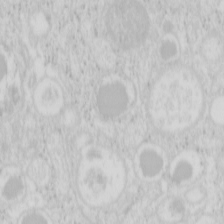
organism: Mouse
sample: Pancreas